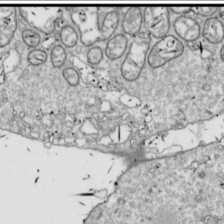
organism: Drosophila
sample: Cell division; meiosis; drosophila spermatocytes